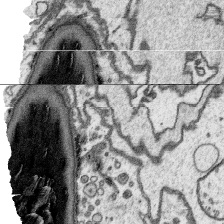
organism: Platynereis dumerilii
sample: Parapodia